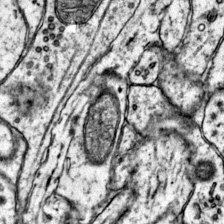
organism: Mouse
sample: Primary visual cortex